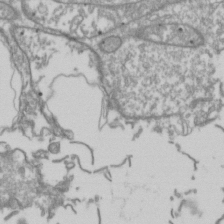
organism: Drosophila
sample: Cell division; meiosis; drosophila spermatocytes